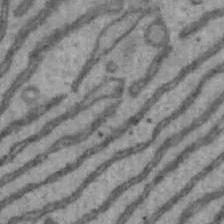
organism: Mouse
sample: Liver